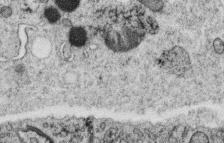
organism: C. elegans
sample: C. elegans oocyte; sperm cells